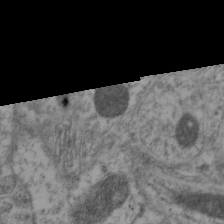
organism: Mouse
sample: Neocortex